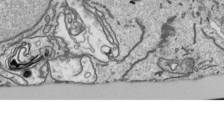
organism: Human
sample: Mitochondria in HCT116 cells